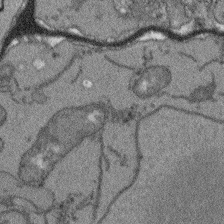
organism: Arabidopsis thaliana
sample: Root tip